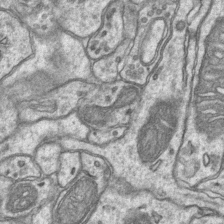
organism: Mouse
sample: CA1 Hippocampus